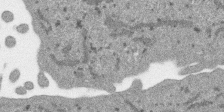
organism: Human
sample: Lung epithelial cells infected with SARS-CoV-2